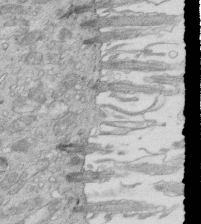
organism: Mouse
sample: Multiciliated cells